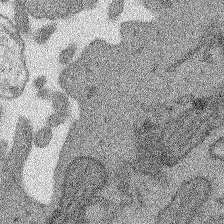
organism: Human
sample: HeLa cells